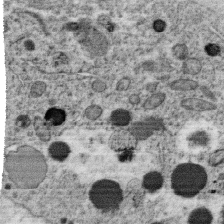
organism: C. elegans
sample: C. elegans oocyte; sperm cells